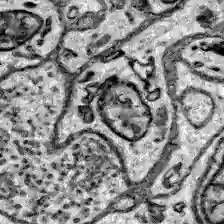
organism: Zebrafish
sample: Brain